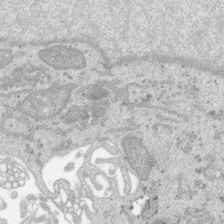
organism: Human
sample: Lung epithelial cells infected with SARS-CoV-2